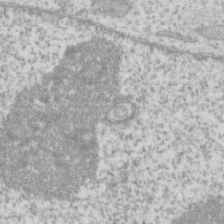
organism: Human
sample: Fibroblast cells